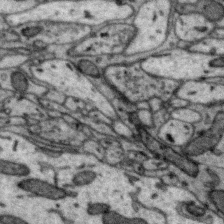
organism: Zebra finch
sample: Brain